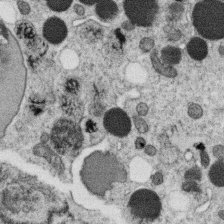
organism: C. elegans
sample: C. elegans oocyte; sperm cells